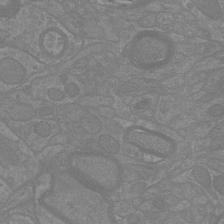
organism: Mouse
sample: Cortical neurons